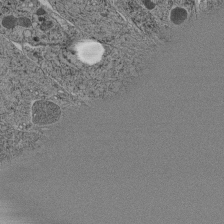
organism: C. elegans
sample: C. elegans pharynx